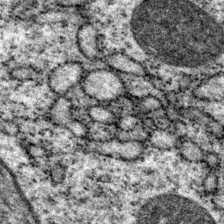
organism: P. pacificus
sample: Pharynx